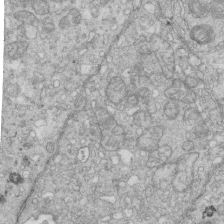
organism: Mouse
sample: Multiciliated cells